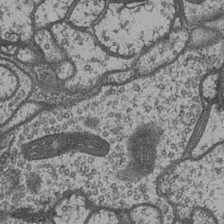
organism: Drosophila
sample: Optic medulla